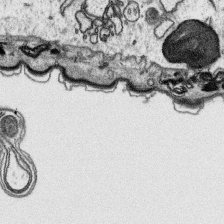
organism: Platynereis dumerilii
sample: Parapodia